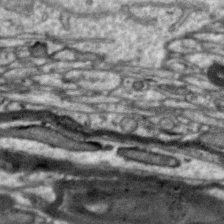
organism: Zebra finch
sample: Brain